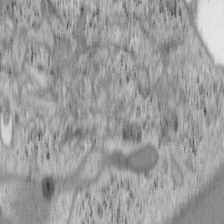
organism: Human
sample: HeLa cells